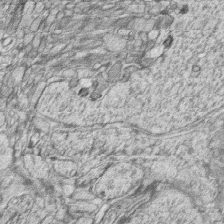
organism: Zebrafish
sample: synaptic ribbons in rod cells and cone cells